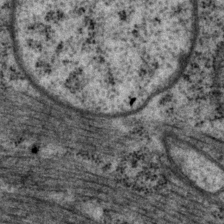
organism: P. pacificus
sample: Pharynx